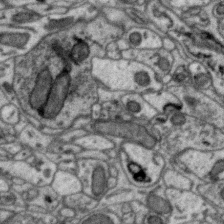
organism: Zebra finch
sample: Brain